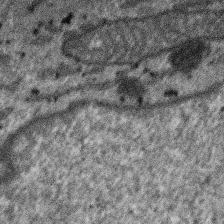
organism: Human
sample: Lung epithelial cells infected with SARS-CoV-2